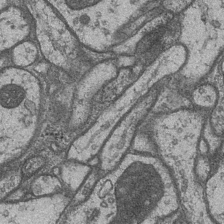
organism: Drosophila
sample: Optic medulla